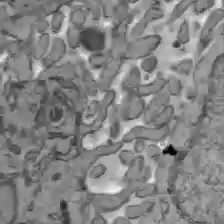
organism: C57BL Mouse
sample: Liver